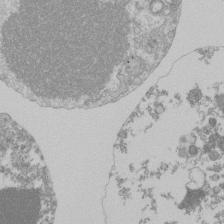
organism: Mouse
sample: Activated Pmel transgenic CD8+ T Cells